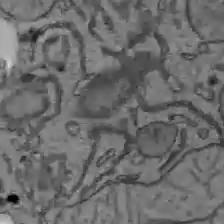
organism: C57BL Mouse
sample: Liver